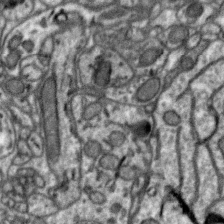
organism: Zebra finch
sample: Brain